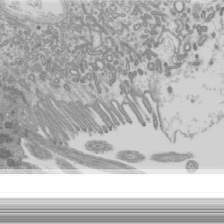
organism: Mouse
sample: Cilia; mouse epididymis